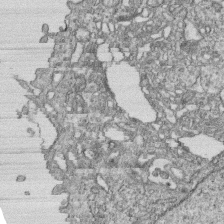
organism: Human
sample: HeLa cell HIV synapse